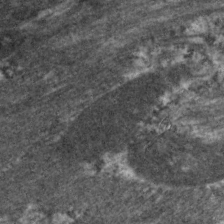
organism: C. elegans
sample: Pharynx